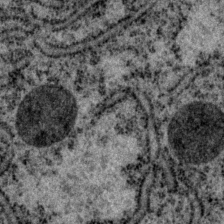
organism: P. pacificus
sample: Pharynx